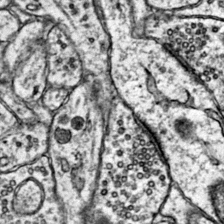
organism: Mouse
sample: Primary visual cortex